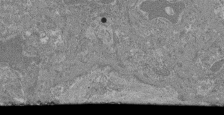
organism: Mouse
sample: Glomerulus